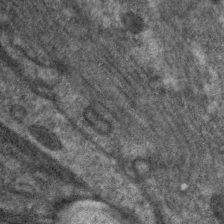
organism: C. elegans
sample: Pharynx